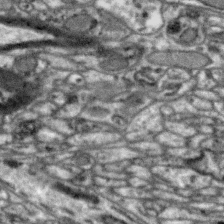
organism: Zebra finch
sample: Brain